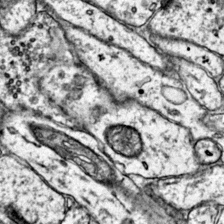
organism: Mouse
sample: Primary visual cortex